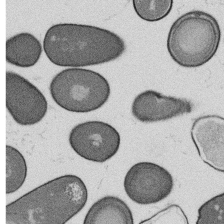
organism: B. subtilis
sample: Bacterial spore